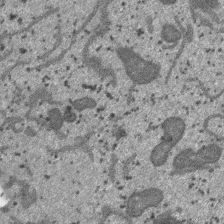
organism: Human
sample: Lung epithelial cells infected with SARS-CoV-2